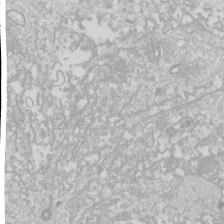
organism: Drosophila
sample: Cell division; meiosis; drosophila spermatocytes